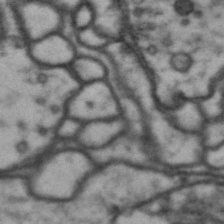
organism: Drosophila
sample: Brain